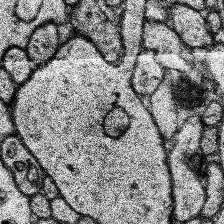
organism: Human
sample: Temporal Lobe